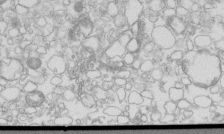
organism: Mouse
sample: Macrophages